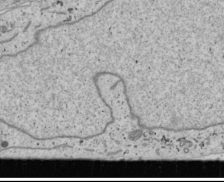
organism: Human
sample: Mitochondria in U2OS cells